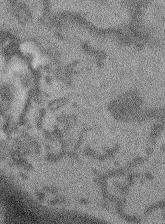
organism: Arabidopsis thaliana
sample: Root tip